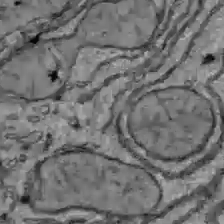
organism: C57BL Mouse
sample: Liver